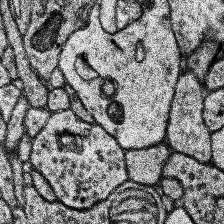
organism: Human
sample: Temporal Lobe